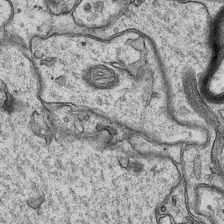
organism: Mouse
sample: CA1 Hippocampus